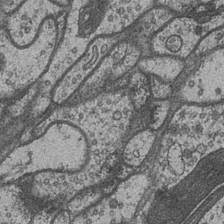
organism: Drosophila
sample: Optic medulla